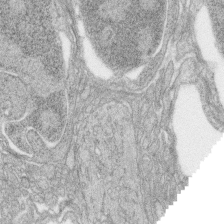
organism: Zebrafish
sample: synaptic ribbons in rod cells and cone cells